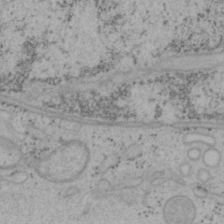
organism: Human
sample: HeLa cells